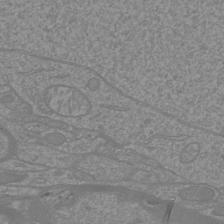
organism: Mouse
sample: Cortical neurons